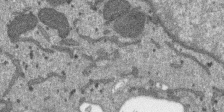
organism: Human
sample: Lung epithelial cells infected with SARS-CoV-2